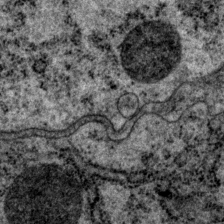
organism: P. pacificus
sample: Pharynx